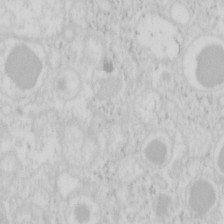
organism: Mouse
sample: Pancreas